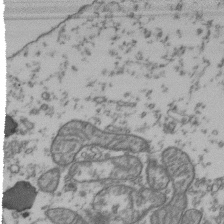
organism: Human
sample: Activated Jurkat CD4+ T cells